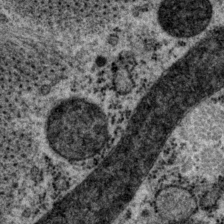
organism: P. pacificus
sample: Pharynx